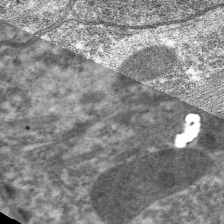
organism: C. elegans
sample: Pharynx